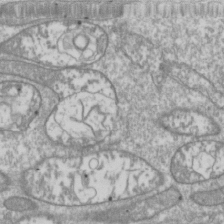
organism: Drosophila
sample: Cell division; meiosis; drosophila spermatocytes